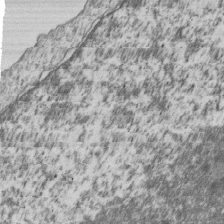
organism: Human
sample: MDA-MB-231 cells